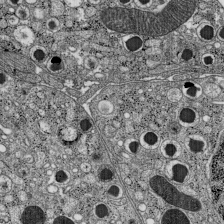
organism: C57BL Mouse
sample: Pancreatic islet